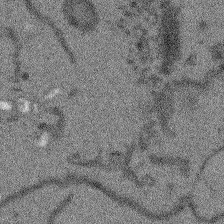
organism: Arabidopsis thaliana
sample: Root tip